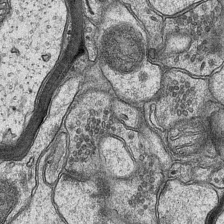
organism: Mouse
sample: CA1 Hippocampus